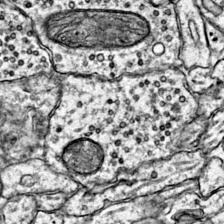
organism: Mouse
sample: Primary visual cortex